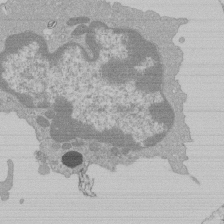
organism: Mouse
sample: Activated Pmel transgenic CD8+ T Cells